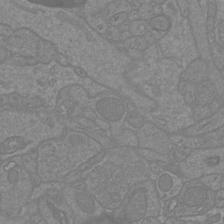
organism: Mouse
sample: Cortical neurons